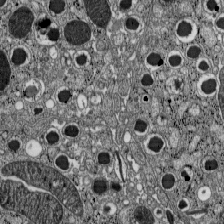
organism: C57BL Mouse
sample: Pancreatic islet